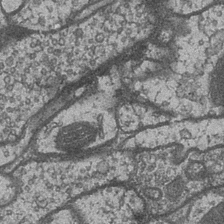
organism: Drosophila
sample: Optic medulla